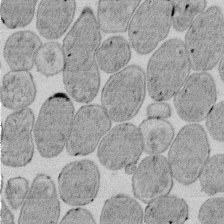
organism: E. coli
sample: Bacterial nucleoid